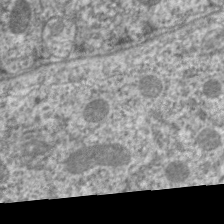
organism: C. elegans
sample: Pharynx